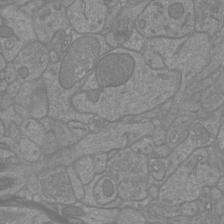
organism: Mouse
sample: Cortical neurons